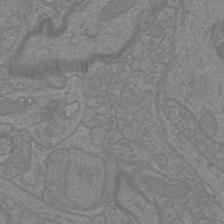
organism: Mouse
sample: Cortical neurons